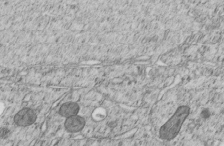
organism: C. elegans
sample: C. elegans embryo early stage